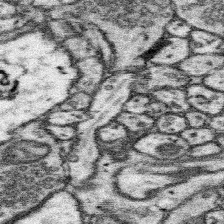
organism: Mouse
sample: Somatosensory cortex neuropil